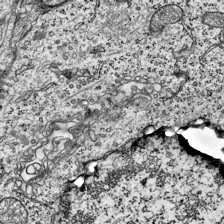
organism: Mouse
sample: Visual Cortex